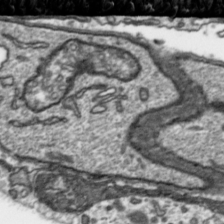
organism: Toxoplasma gondii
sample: Parasites in a vacuole inside a host cell